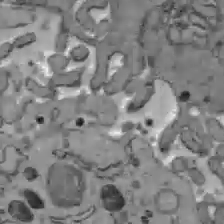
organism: C57BL Mouse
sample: Liver